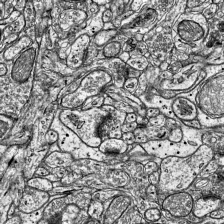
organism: Mouse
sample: Visual Cortex